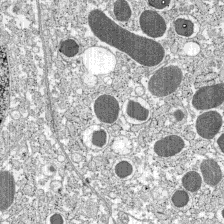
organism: C57BL Mouse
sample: Pancreatic islet